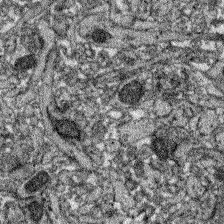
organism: Zebrafish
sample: Larval olfactory bulb